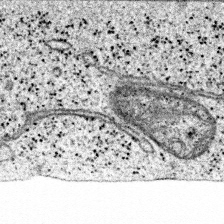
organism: Human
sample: HeLa cells